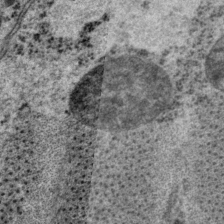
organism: P. pacificus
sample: Pharynx